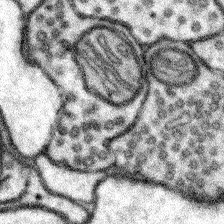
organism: Mouse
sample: Somatosensory cortex neuropil